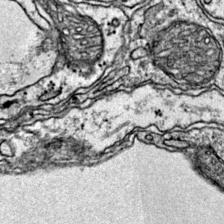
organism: Mouse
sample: Primary visual cortex